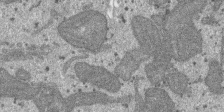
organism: Human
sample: Lung epithelial cells infected with SARS-CoV-2